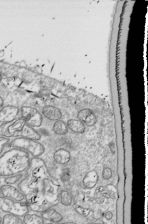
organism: Drosophila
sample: Cell division; meiosis; drosophila spermatocytes